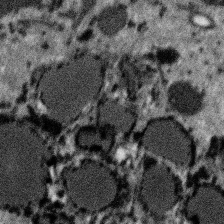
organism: Human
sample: Lung epithelial cells infected with SARS-CoV-2